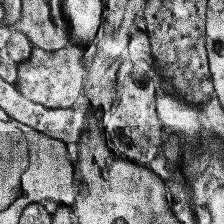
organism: Human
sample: Temporal Lobe